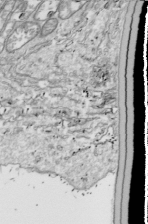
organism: Drosophila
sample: Cell division; meiosis; drosophila spermatocytes